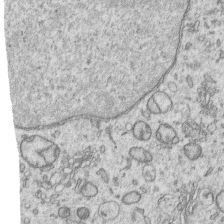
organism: Human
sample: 1205lu cells